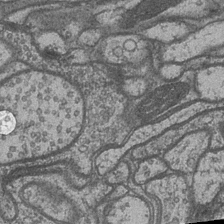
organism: Drosophila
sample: Optic medulla